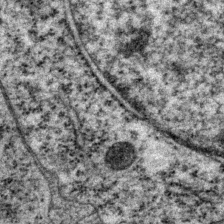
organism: P. pacificus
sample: Pharynx